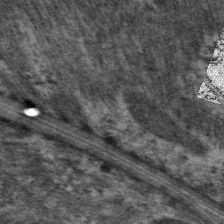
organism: C. elegans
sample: Pharynx